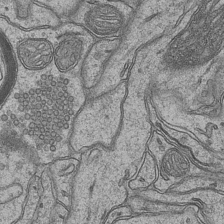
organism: Mouse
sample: CA1 Hippocampus